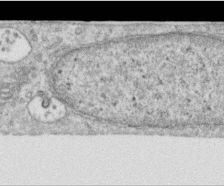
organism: Human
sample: Centriole in RPE cells